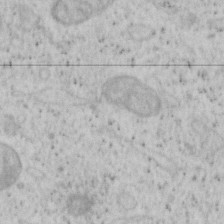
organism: Human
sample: HeLa cells